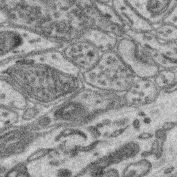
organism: Mouse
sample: Retina